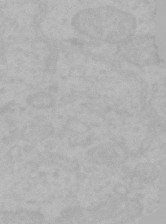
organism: Mouse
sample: Choroid plexus